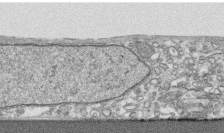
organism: Human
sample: CRL-1474